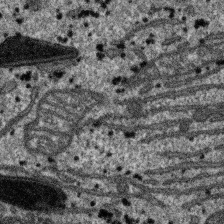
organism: Human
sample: Lung epithelial cells infected with SARS-CoV-2